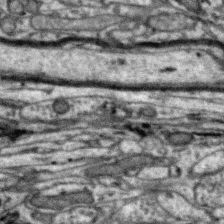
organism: Zebra finch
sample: Brain